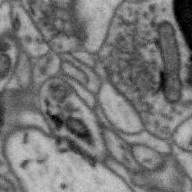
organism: Zebra finch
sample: Brain